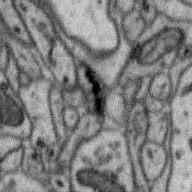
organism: Zebra finch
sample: Brain